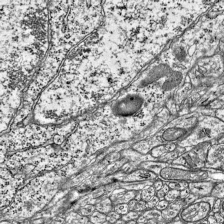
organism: Mouse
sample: Visual Cortex